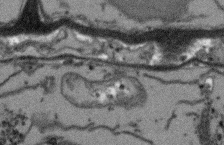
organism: Arabidopsis thaliana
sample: Root tip